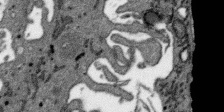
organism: Human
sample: Lung epithelial cells, uninfected (mock) control